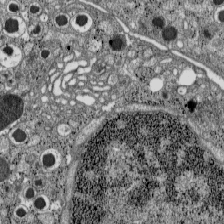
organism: C57BL Mouse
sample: Pancreatic islet